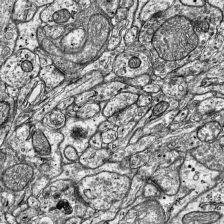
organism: Mouse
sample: Visual Cortex